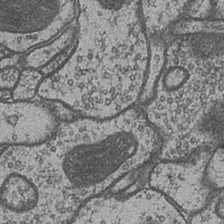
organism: Drosophila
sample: Optic medulla